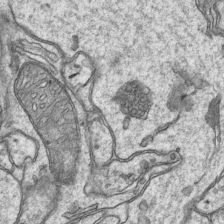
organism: Mouse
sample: CA1 Hippocampus